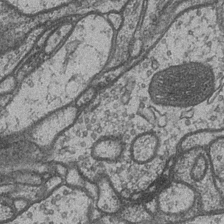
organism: Drosophila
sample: Optic medulla